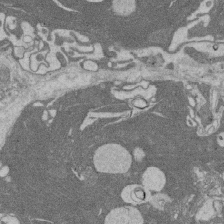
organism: Rat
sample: Salivary granule